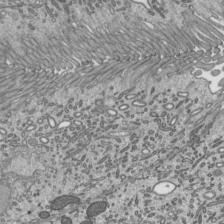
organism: Mouse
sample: Mouse epididymis efferent ductule cilia